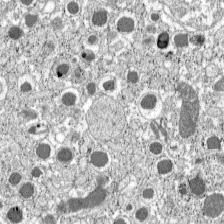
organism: C57BL Mouse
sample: Pancreatic islet